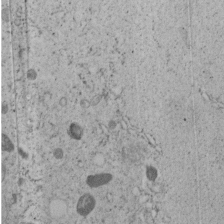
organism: C. elegans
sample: C. elegans embryo early stage